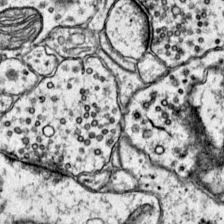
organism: Mouse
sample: Primary visual cortex